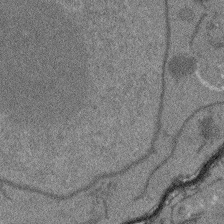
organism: Arabidopsis thaliana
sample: Root tip